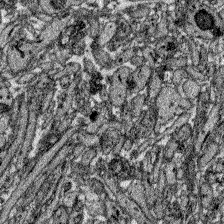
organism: Zebrafish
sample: Larval olfactory bulb